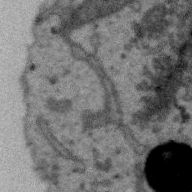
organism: Zebra finch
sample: Brain